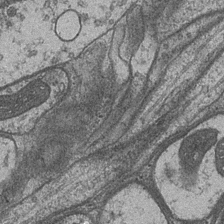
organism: Drosophila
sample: Optic medulla